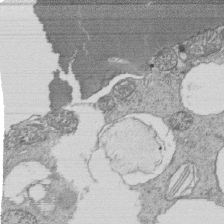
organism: Tetrahymena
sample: Cilia in tetrahymena